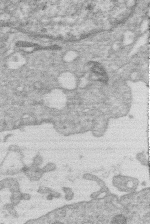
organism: Human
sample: Macrophage cells